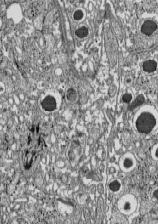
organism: C57BL Mouse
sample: Pancreatic islet